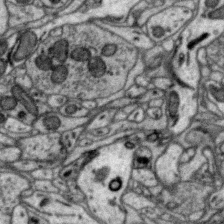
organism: Zebra finch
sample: Brain